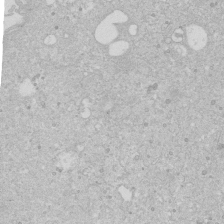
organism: Human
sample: Caco-2 cells